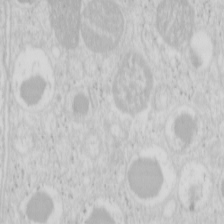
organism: Mouse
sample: Pancreas